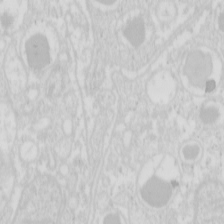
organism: Mouse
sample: Pancreas